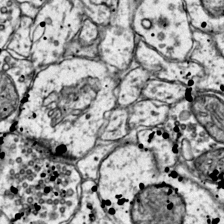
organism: Mouse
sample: Primary visual cortex